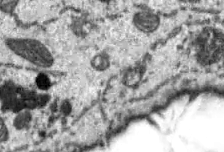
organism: Human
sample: HeLa cells